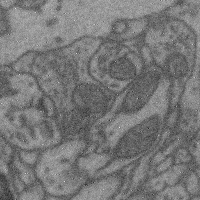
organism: Mouse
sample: Cerebral cortex